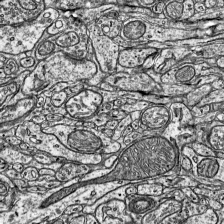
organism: Mouse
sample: Visual Cortex